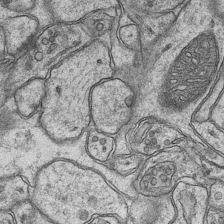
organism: Mouse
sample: CA1 Hippocampus